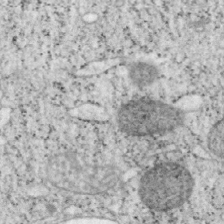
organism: Mouse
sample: OT-I killer T cells with ID8 ovarian cancer cells